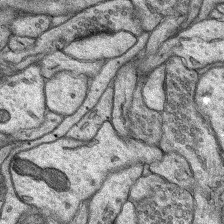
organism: Rat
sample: Hippocampus